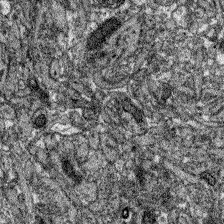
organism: Zebrafish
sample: Larval olfactory bulb